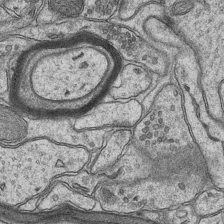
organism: Mouse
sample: CA1 Hippocampus